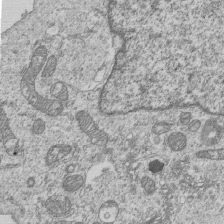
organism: Human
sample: MDA-MB-231 cells